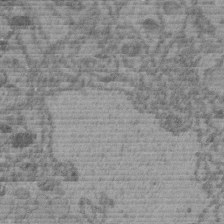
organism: C. elegans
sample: C. elegans embryo early stage